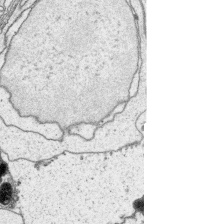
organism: Platynereis dumerilii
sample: Parapodia